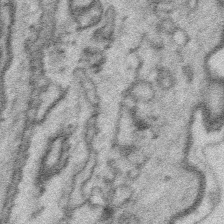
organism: Platynereis dumerilii